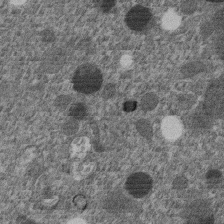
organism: C. elegans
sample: C. elegans embryo early stage